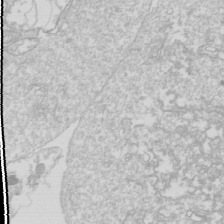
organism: Drosophila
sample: Cell division; meiosis; drosophila spermatocytes